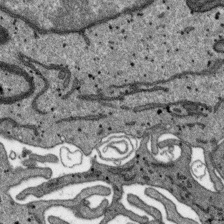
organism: Human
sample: Lung epithelial cells, uninfected (mock) control